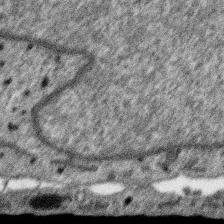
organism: Human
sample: Lung epithelial cells infected with SARS-CoV-2